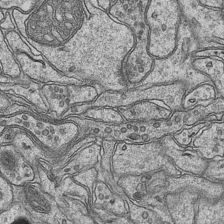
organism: Mouse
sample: CA1 Hippocampus